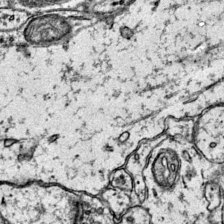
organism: Mouse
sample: Primary visual cortex